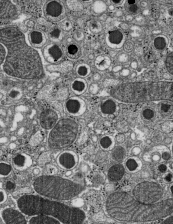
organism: C57BL Mouse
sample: Pancreatic islet